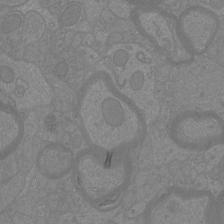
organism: Mouse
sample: Cortical neurons